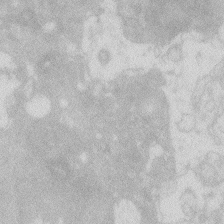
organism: Zebrafish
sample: Macrophage